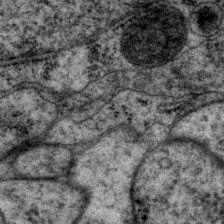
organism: P. pacificus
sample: Pharynx